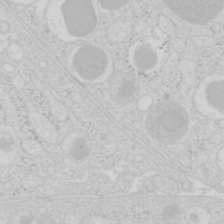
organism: Mouse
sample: Pancreas